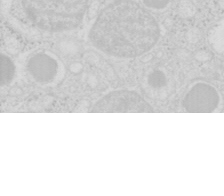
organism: Mouse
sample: Pancreas